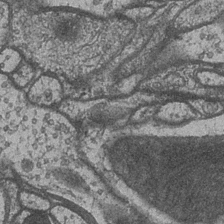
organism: Drosophila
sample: Optic medulla